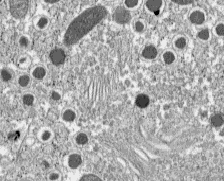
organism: C57BL Mouse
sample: Pancreatic islet